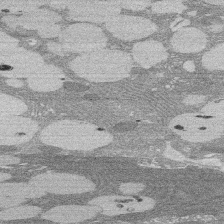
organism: Rat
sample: Salivary granule